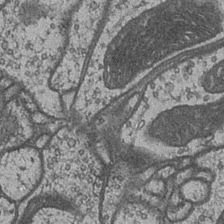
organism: Drosophila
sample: Optic medulla